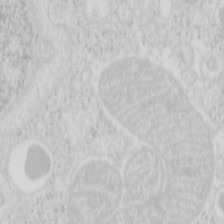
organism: Mouse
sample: Pancreas